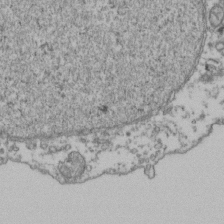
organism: Human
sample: Activated Jurkat CD4+ T cells